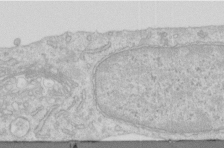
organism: Human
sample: Centriole in RPE cells